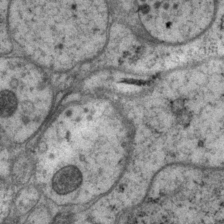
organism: P. pacificus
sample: Pharynx